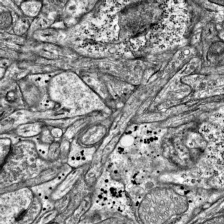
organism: Mouse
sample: Visual Cortex